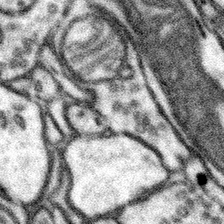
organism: Mouse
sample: Somatosensory cortex neuropil